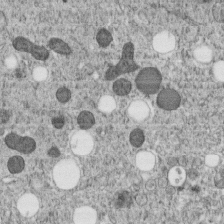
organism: C. elegans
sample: C. elegans embryo early stage